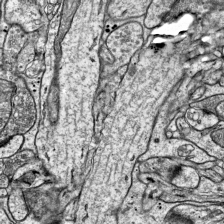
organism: Mouse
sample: Visual Cortex